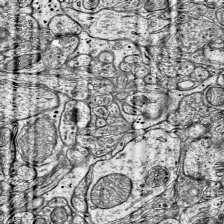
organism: Mouse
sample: Visual Cortex